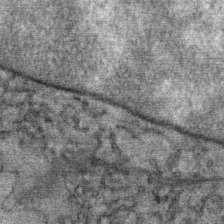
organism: Mouse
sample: Mouse Salivary gland